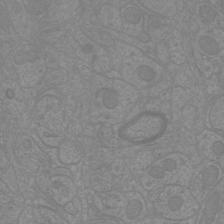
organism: Mouse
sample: Cortical neurons